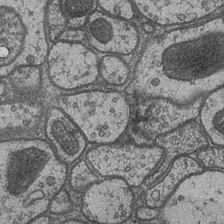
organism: Drosophila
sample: Optic medulla